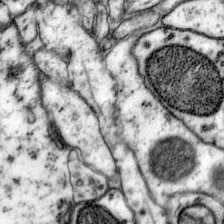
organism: Mouse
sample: Primary visual cortex